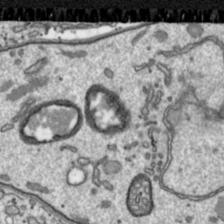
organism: Toxoplasma gondii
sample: Parasites in a vacuole inside a host cell